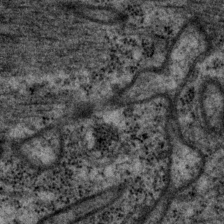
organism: P. pacificus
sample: Pharynx